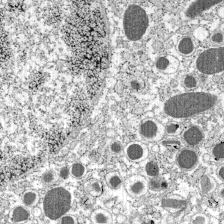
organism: C57BL Mouse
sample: Pancreatic islet